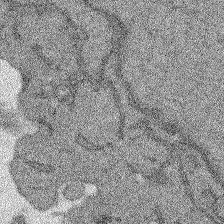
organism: Human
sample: HeLa cells